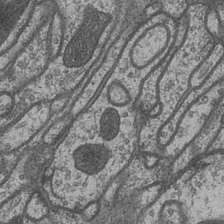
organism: Drosophila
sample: Optic medulla